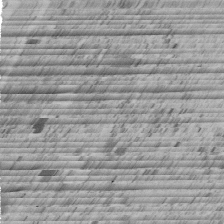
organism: C. elegans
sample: C. elegans embryo early stage